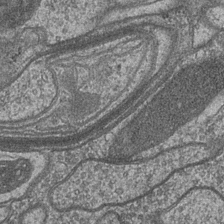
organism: Drosophila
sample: Optic medulla